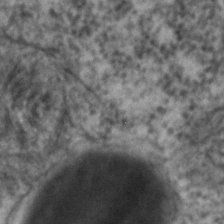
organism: C. elegans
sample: C. elegans embryo